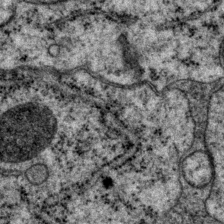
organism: P. pacificus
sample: Pharynx